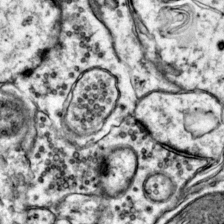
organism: Mouse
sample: Primary visual cortex